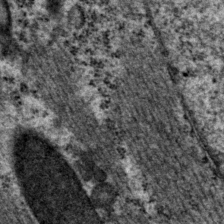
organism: P. pacificus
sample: Pharynx